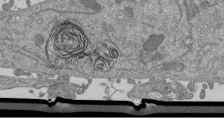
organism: Mouse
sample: ED-1 cell nuclei; centrioles